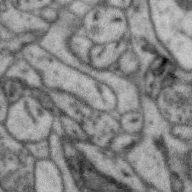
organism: Zebra finch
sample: Brain